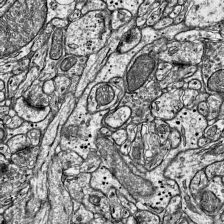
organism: Mouse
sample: Visual Cortex